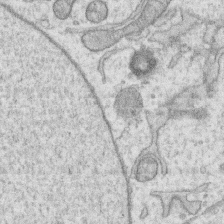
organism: Human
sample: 1205lu cells